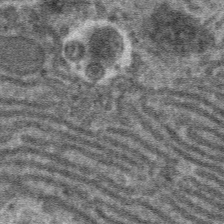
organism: Mouse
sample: Mouse hepatocytes